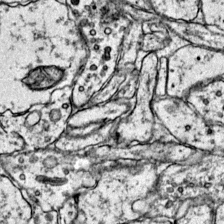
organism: Mouse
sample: Primary visual cortex